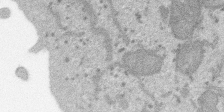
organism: Human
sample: Lung epithelial cells infected with SARS-CoV-2